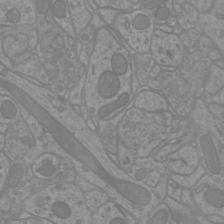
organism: Mouse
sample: Cortical neurons